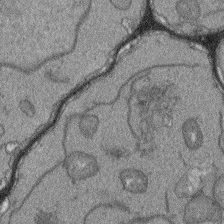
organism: Arabidopsis thaliana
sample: Root tip